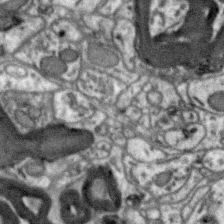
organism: Zebra finch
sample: Brain